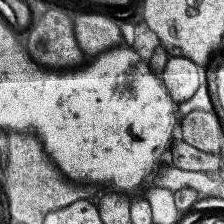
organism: Human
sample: Temporal Lobe